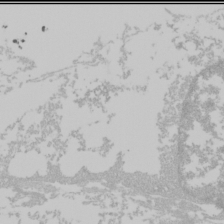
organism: Mouse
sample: Cancer cell death in ED-1 cells